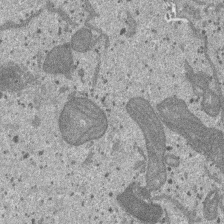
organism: Human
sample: Lung epithelial cells infected with SARS-CoV-2